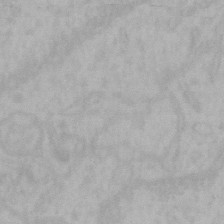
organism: Mouse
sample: Choroid plexus